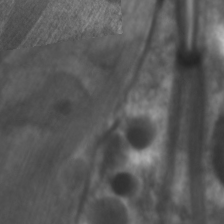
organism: C. elegans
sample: Pharynx